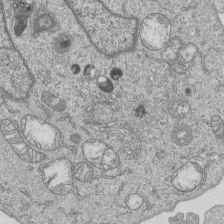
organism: Human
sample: MDA-MB-231 cells